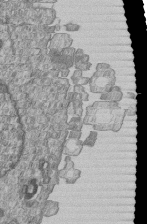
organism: Human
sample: MDA-MB-231 cells